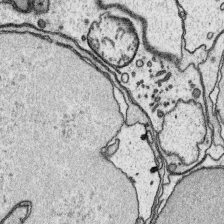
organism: Platynereis dumerilii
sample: Parapodia